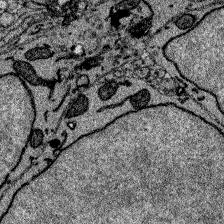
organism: Zebrafish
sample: Larval olfactory bulb